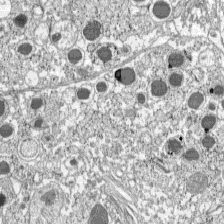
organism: C57BL Mouse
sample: Pancreatic islet